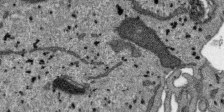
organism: Human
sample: Lung epithelial cells, uninfected (mock) control